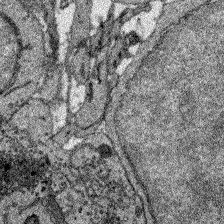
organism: Zebrafish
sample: Larval olfactory bulb